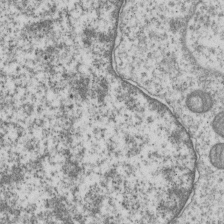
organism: Human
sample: MDA-MB-231 cells